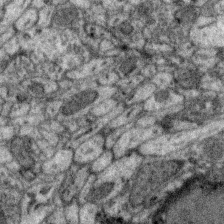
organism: Zebra finch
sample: Brain